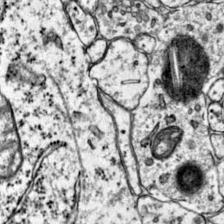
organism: Mouse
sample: Primary visual cortex